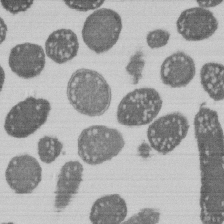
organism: E. coli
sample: Bacterial nucleoid